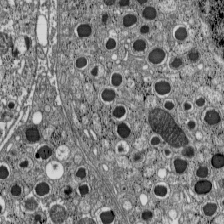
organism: C57BL Mouse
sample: Pancreatic islet